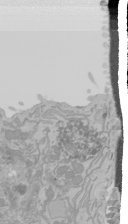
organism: Mouse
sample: Cancer cell death in ED-1 cells